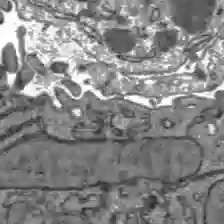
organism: C57BL Mouse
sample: Liver